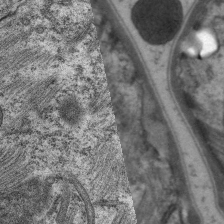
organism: C. elegans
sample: Pharynx